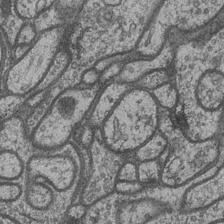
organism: Drosophila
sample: Optic medulla